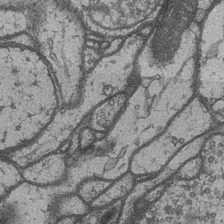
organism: Drosophila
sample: Optic medulla